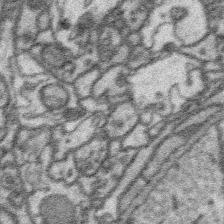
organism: Platynereis dumerilii